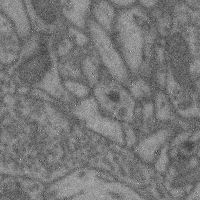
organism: Mouse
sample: Cerebral cortex